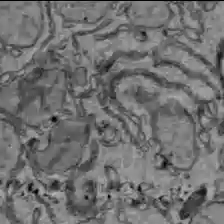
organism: C57BL Mouse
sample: Liver